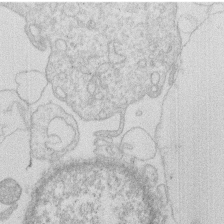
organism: Human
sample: Macrophage cells